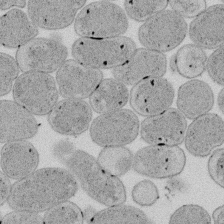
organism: E. coli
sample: Bacterial nucleoid